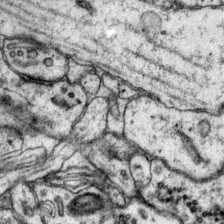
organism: Mouse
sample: Primary visual cortex